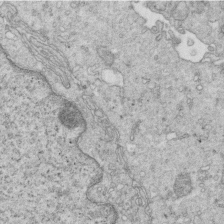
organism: Mouse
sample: Multiciliated cells